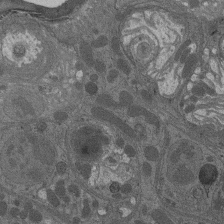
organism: Drosophila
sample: Antenna